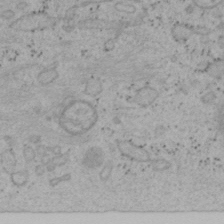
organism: Human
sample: HeLa cells